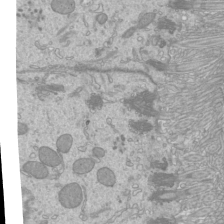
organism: Mouse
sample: Cilia; mouse epididymis